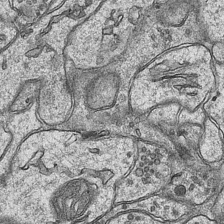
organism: Mouse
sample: CA1 Hippocampus